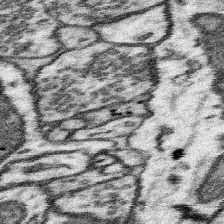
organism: Mouse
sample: Somatosensory cortex neuropil